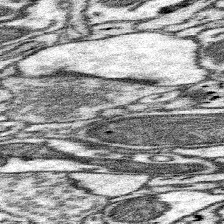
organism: Mouse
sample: Somatosensory cortex neuropil